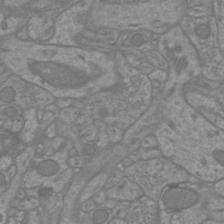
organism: Mouse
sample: Cortical neurons